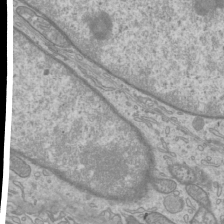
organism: Mouse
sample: Cilia; mouse epididymis